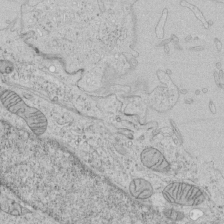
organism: Human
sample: Mitochondria in HCT116 cells